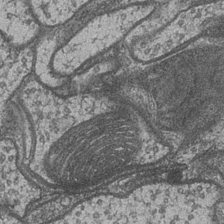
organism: Drosophila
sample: Optic medulla